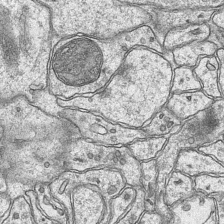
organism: Mouse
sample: CA1 Hippocampus